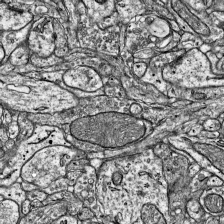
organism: Mouse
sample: Visual Cortex